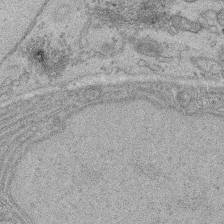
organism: Rat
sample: Salivary granule